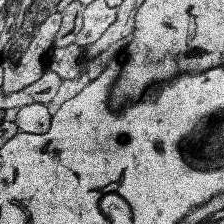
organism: Human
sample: Temporal Lobe